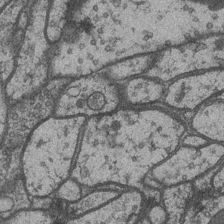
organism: Drosophila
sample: Optic medulla